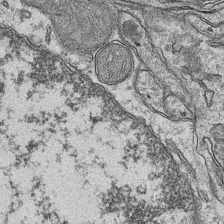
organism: Mouse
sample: CA1 Hippocampus